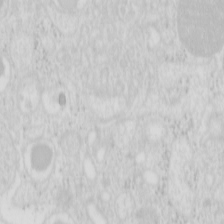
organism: Mouse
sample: Pancreas